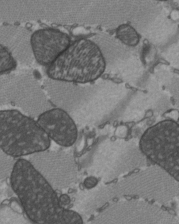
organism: C57BL Mouse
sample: Heart